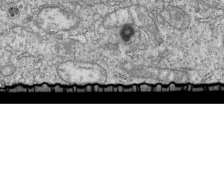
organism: Human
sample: HeLa cell HIV synapse